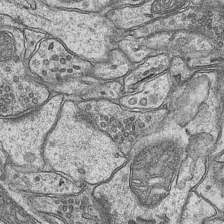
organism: Mouse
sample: CA1 Hippocampus